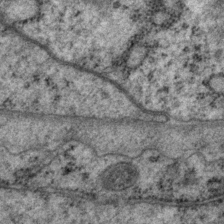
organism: P. pacificus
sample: Pharynx